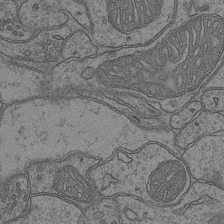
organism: Mouse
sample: CA1 Hippocampus